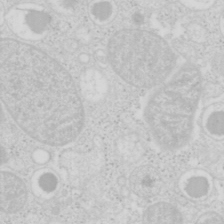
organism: Mouse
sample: Pancreas